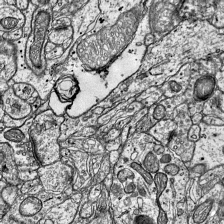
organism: Mouse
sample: Visual Cortex